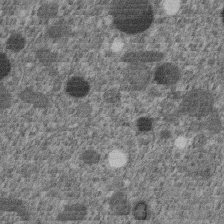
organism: C. elegans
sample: C. elegans embryo early stage